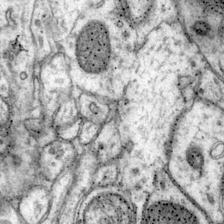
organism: Mouse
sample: Primary visual cortex